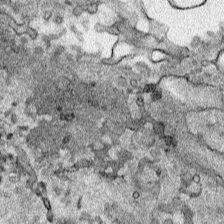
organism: Human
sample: Mitochondria in HCT116 cells